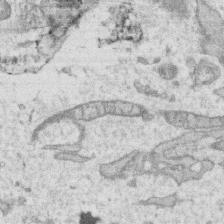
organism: Human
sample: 1205lu cells